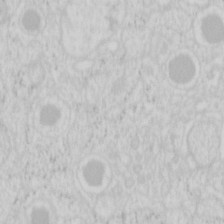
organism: Mouse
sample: Pancreas